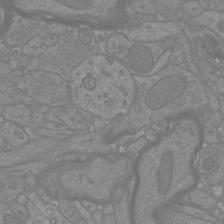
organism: Mouse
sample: Cortical neurons